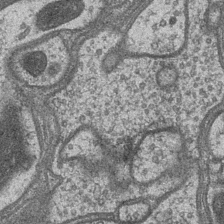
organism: Drosophila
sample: Optic medulla